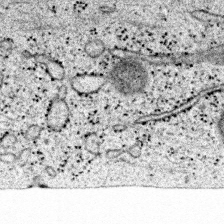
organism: Human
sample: HeLa cells